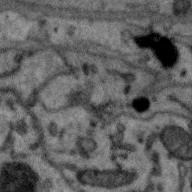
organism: Zebra finch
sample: Brain